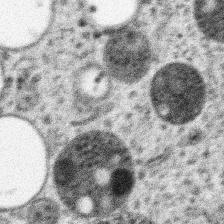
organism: Human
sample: HeLa cells